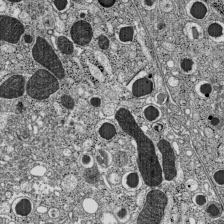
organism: C57BL Mouse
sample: Pancreatic islet